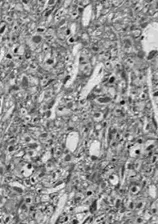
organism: Drosophila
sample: Optic lobe